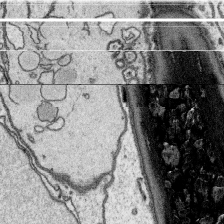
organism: Platynereis dumerilii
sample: Parapodia